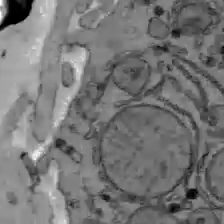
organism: C57BL Mouse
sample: Liver